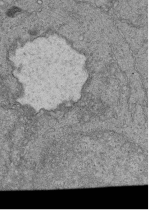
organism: Human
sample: Retinal organoid Rod and Cone cells